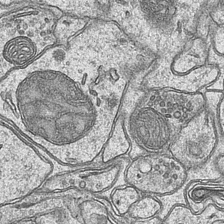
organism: Mouse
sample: CA1 Hippocampus